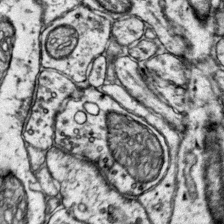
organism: Mouse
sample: Primary visual cortex